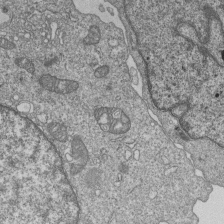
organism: Human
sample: MDA-MB-231 cells